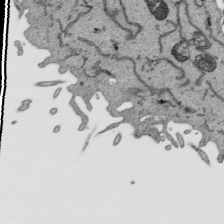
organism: Human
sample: Mitochondria in HCT116 cells